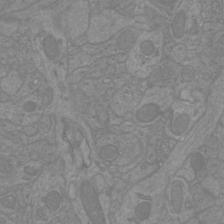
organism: Mouse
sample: Cortical neurons